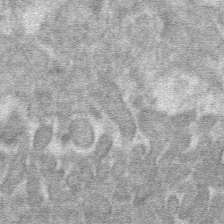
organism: Mouse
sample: Mouse hepatocytes